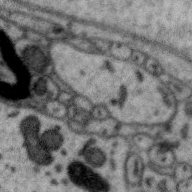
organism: Zebra finch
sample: Brain